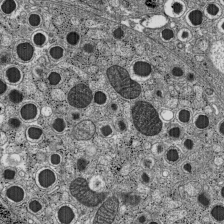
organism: C57BL Mouse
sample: Pancreatic islet